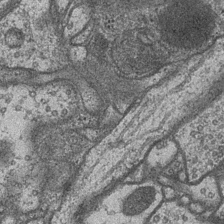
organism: Drosophila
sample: Optic medulla